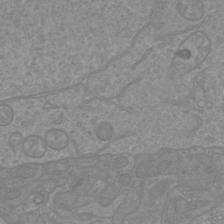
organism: Mouse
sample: Cortical neurons